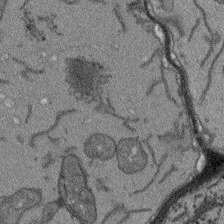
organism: Arabidopsis thaliana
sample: Root tip